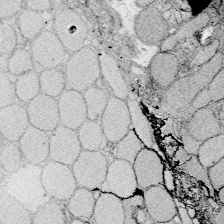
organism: Zebrafish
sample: Whole-Brain